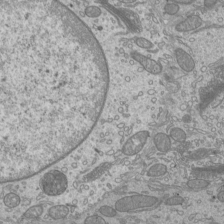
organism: Mouse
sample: Cilia; mouse epididymis